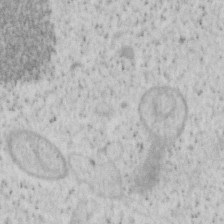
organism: Human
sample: HeLa cells